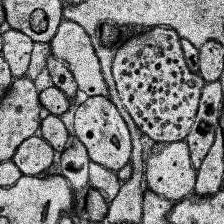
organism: Human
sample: Temporal Lobe